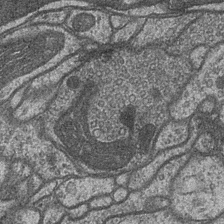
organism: Drosophila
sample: Optic medulla